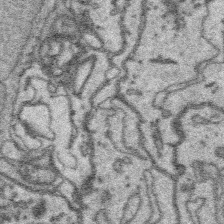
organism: Platynereis dumerilii